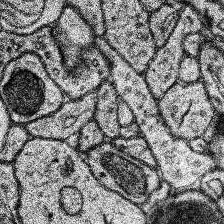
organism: Human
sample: Temporal Lobe